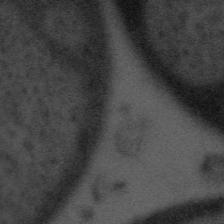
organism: Tuwongella immobilis